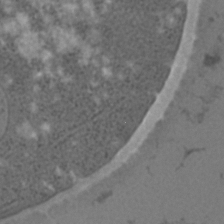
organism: C. elegans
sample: C. elegans embryo